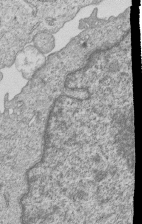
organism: Human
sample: MDA-MB-231 cells